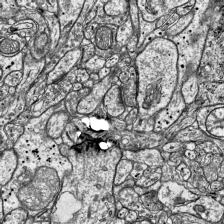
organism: Mouse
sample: Visual Cortex